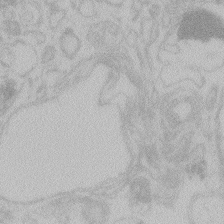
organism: Zebrafish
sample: Macrophage infected with Toxoplasma gondii